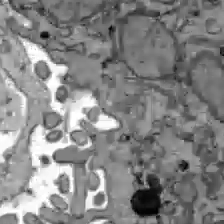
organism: C57BL Mouse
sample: Liver